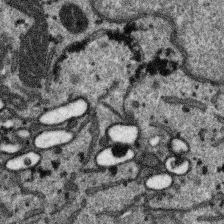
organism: Human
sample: Lung epithelial cells infected with SARS-CoV-2